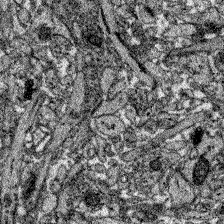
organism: Zebrafish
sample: Larval olfactory bulb